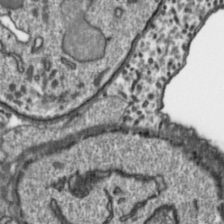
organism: Toxoplasma gondii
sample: Parasites in a vacuole inside a host cell